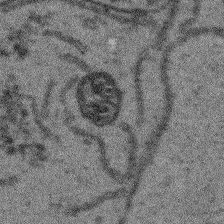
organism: Arabidopsis thaliana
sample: Root tip